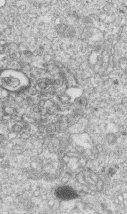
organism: Human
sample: HeLa cell HIV synapse